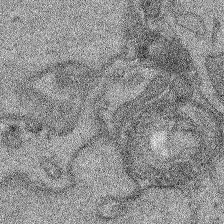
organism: Human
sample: HeLa cells